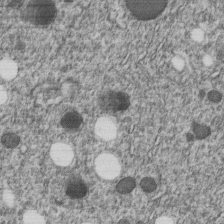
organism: C. elegans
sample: C. elegans embryo early stage